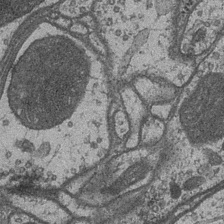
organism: Drosophila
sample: Optic medulla